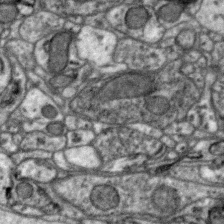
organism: Zebra finch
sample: Brain